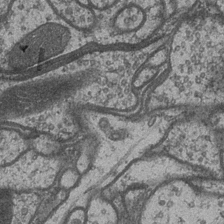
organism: Drosophila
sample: Optic medulla